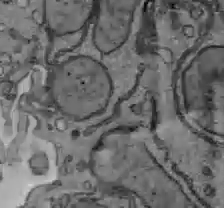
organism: C57BL Mouse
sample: Liver